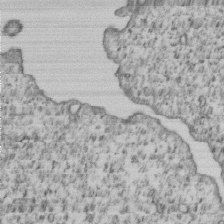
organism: Human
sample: MDA-MB-231 cells